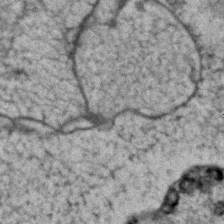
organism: Human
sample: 1205lu cells